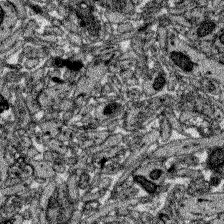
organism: Zebrafish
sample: Larval olfactory bulb